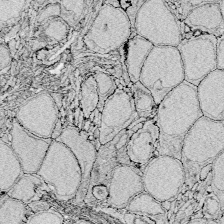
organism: Zebrafish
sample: Whole-Brain